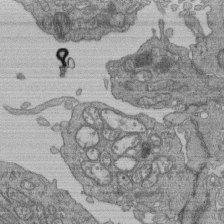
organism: Human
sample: Retinal organoid Rod and Cone cells